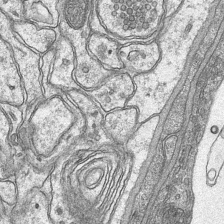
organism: Mouse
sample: CA1 Hippocampus